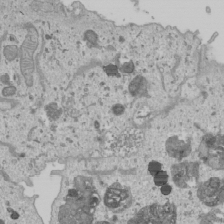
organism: Human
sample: Mitochondria in U2OS cells